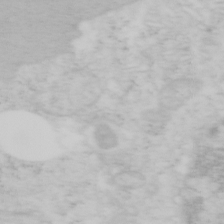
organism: Mouse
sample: OT-I killer T cells with ID8 ovarian cancer cells